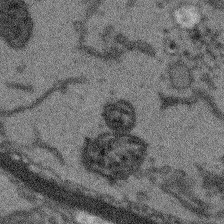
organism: Arabidopsis thaliana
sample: Root tip